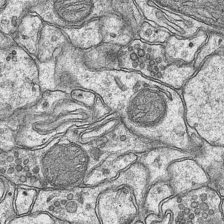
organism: Mouse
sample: CA1 Hippocampus